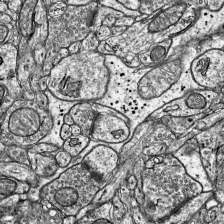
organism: Mouse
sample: Visual Cortex